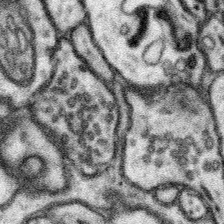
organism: Mouse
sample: Somatosensory cortex neuropil